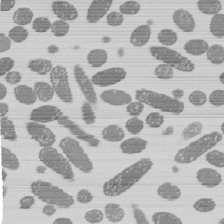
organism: E. coli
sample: Bacterial nucleoid